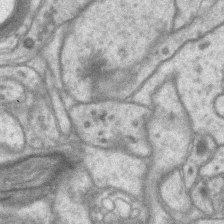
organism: Mouse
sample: CA1 Hippocampus